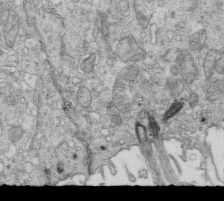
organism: Mouse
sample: Multiciliated cells